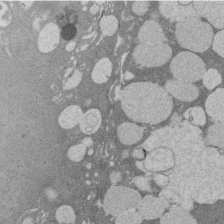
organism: Rat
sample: Salivary granule